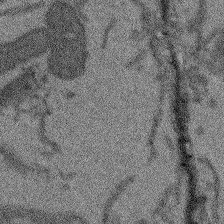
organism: Arabidopsis thaliana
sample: Root tip